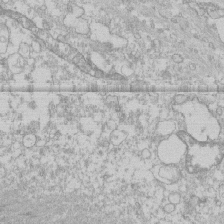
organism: Human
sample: CRL-1474